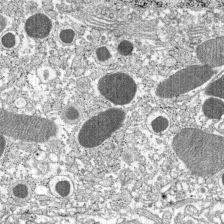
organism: C57BL Mouse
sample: Pancreatic islet